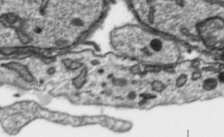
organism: Toxoplasma gondii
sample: Parasites in a vacuole inside a host cell